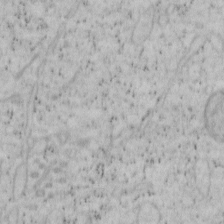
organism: Human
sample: HeLa cells